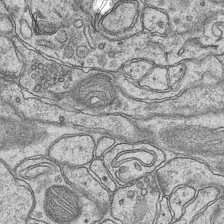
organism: Mouse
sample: CA1 Hippocampus